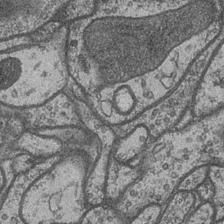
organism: Drosophila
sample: Optic medulla